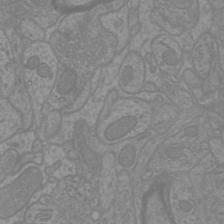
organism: Mouse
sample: Cortical neurons